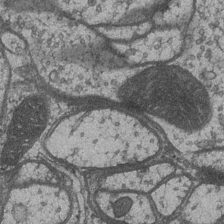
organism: Drosophila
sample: Optic medulla